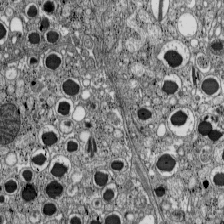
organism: C57BL Mouse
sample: Pancreatic islet